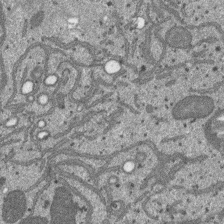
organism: Human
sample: Lung epithelial cells infected with SARS-CoV-2